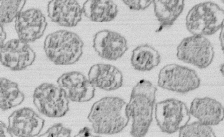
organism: E. coli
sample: Bacterial nucleoid